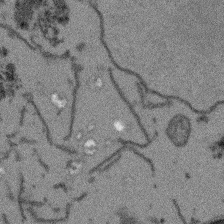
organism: Arabidopsis thaliana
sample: Root tip